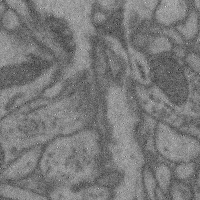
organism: Mouse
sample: Cerebral cortex